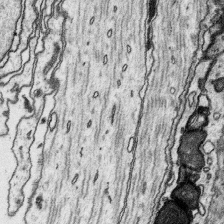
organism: Platynereis dumerilii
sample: Parapodia